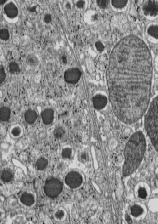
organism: C57BL Mouse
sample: Pancreatic islet